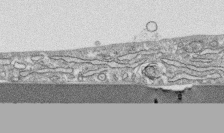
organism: Human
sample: CRL-1474